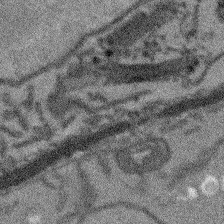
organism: Arabidopsis thaliana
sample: Root tip